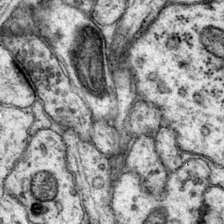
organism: Mouse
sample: Primary visual cortex